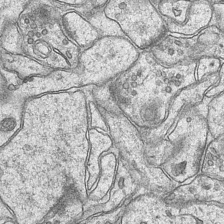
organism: Mouse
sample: CA1 Hippocampus